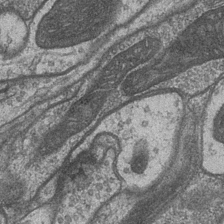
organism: Drosophila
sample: Optic medulla